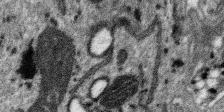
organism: Human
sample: Lung epithelial cells infected with SARS-CoV-2